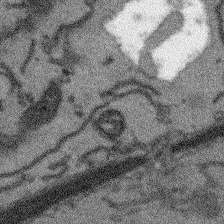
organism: Arabidopsis thaliana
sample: Root tip